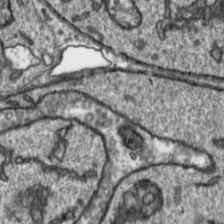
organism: Toxoplasma gondii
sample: Parasites in a vacuole inside a host cell